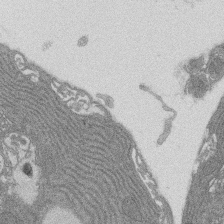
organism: Rat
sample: Salivary granule